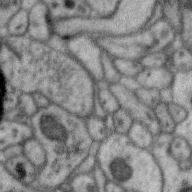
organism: Zebra finch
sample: Brain